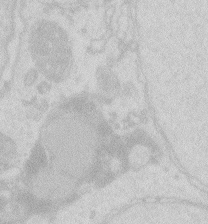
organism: Zebrafish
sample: Macrophage